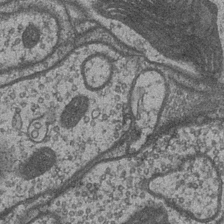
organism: Drosophila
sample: Optic medulla